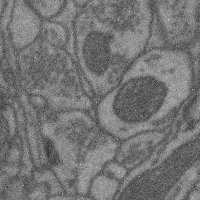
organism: Mouse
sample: Cerebral cortex